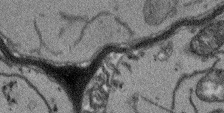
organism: Arabidopsis thaliana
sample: Root tip